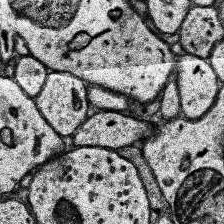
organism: Human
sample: Temporal Lobe